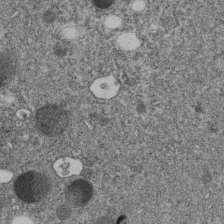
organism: C. elegans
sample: C. elegans embryo early stage